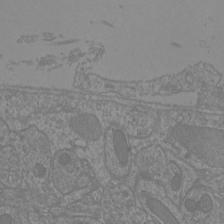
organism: Mouse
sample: Cortical neurons